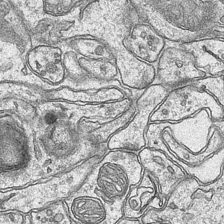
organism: Mouse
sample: CA1 Hippocampus